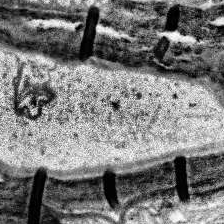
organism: Human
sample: Temporal Lobe